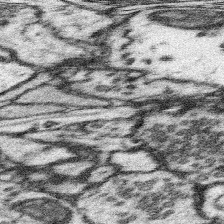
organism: Mouse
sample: Somatosensory cortex neuropil